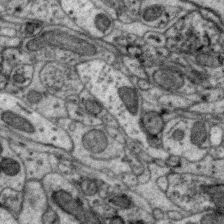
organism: Zebra finch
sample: Brain